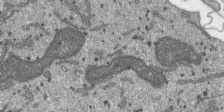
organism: Human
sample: Lung epithelial cells infected with SARS-CoV-2